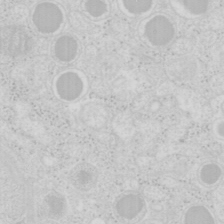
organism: Mouse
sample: Pancreas